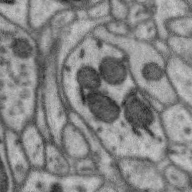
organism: Zebra finch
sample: Brain